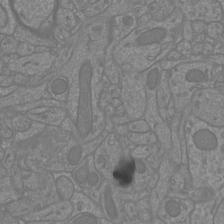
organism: Mouse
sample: Cortical neurons